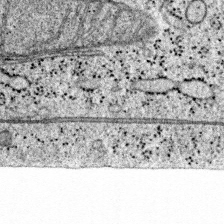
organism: Human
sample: HeLa cells